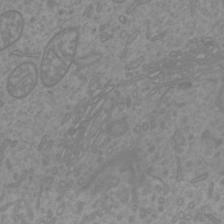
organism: Mouse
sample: Cortical neurons